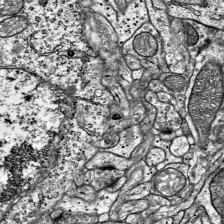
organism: Mouse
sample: Visual Cortex